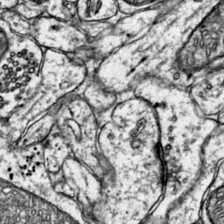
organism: Mouse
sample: Primary visual cortex